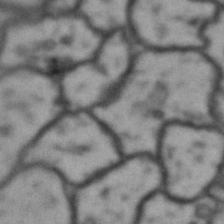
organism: Drosophila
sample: Brain